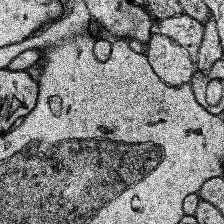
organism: Human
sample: Temporal Lobe